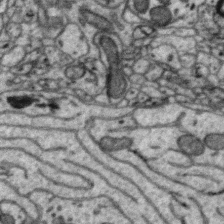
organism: Zebra finch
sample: Brain